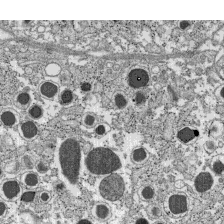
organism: C57BL Mouse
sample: Pancreatic islet